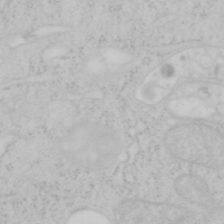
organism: Mouse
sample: OT-I killer T cells with ID8 ovarian cancer cells